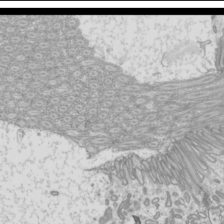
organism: Mouse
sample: Cilia; mouse epididymis